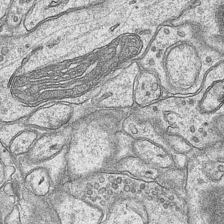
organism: Mouse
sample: CA1 Hippocampus